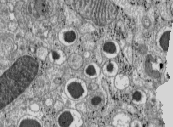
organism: C57BL Mouse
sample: Pancreatic islet